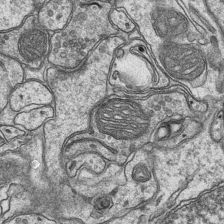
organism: Mouse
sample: CA1 Hippocampus